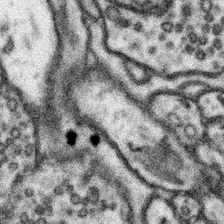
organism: Mouse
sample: Somatosensory cortex neuropil